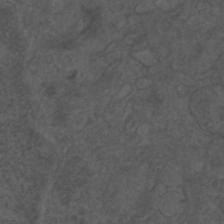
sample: Trachea